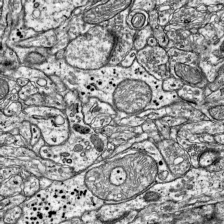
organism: Mouse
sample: Visual Cortex